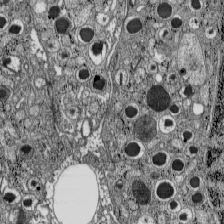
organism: C57BL Mouse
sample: Pancreatic islet